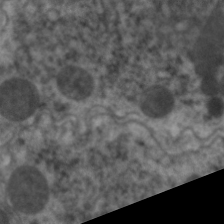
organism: C. elegans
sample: Pharynx